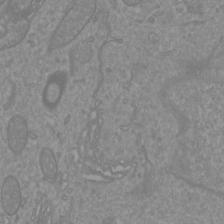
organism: Mouse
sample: Cortical neurons